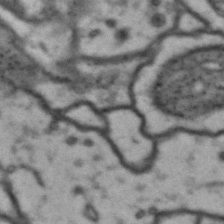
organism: Drosophila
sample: Brain